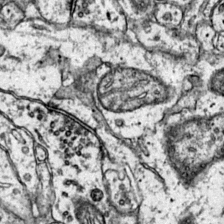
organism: Mouse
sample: Primary visual cortex